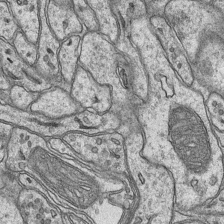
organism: Mouse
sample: CA1 Hippocampus